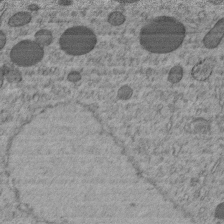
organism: C. elegans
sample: C. elegans embryo early stage